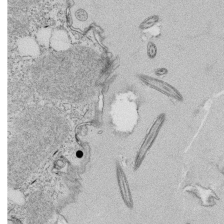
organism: Tetrahymena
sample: Cilia in tetrahymena